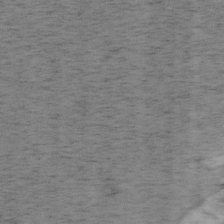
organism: Mouse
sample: OT-I killer T cells with ID8 ovarian cancer cells